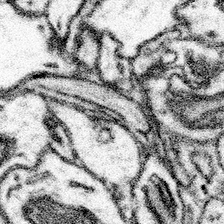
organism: Mouse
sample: Somatosensory cortex neuropil